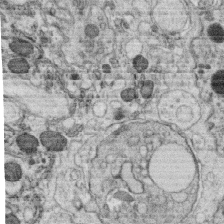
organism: C. elegans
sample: C. elegans oocyte; sperm cells